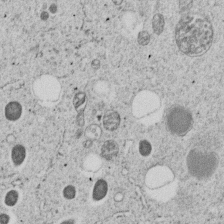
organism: C. elegans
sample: C. elegans embryo early stage